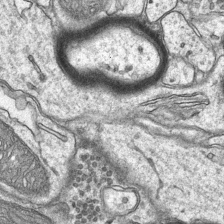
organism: Mouse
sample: CA1 Hippocampus